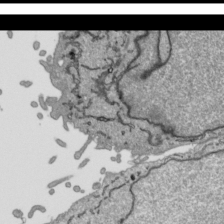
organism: Human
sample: Mitochondria in HCT116 cells